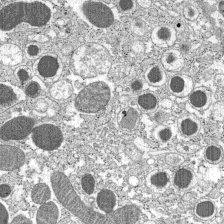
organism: C57BL Mouse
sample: Pancreatic islet